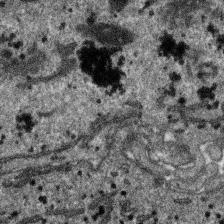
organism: Human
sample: Lung epithelial cells infected with SARS-CoV-2